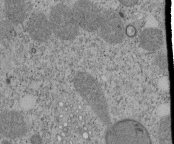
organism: Tetrahymena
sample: Cilia in tetrahymena